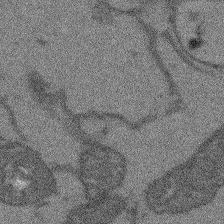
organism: Arabidopsis thaliana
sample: Root tip